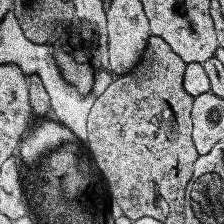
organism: Human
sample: Temporal Lobe